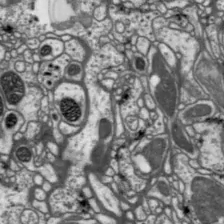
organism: Drosophila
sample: Protocerebral bridge